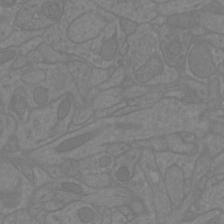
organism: Mouse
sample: Cortical neurons